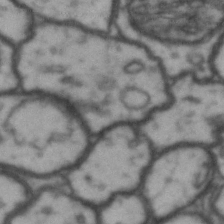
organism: Drosophila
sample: Brain